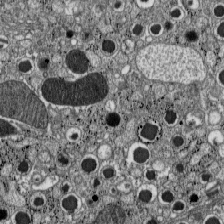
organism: C57BL Mouse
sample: Pancreatic islet